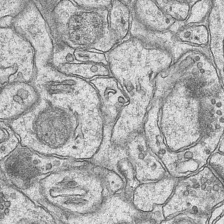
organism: Mouse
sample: CA1 Hippocampus